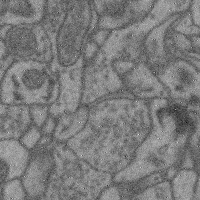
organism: Mouse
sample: Cerebral cortex